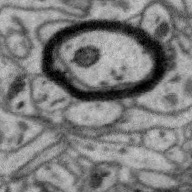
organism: Zebra finch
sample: Brain